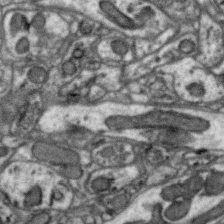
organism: Zebra finch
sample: Brain